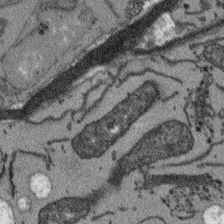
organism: Arabidopsis thaliana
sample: Root tip